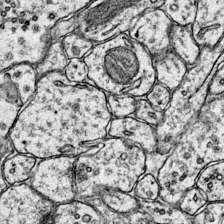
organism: Mouse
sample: Primary visual cortex